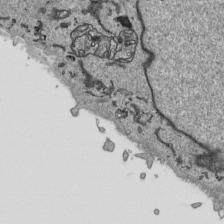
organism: Human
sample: Mitochondria in HCT116 cells